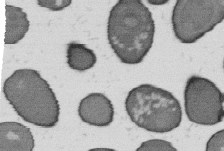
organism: B. subtilis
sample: Bacterial spore